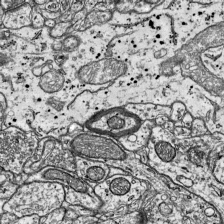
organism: Mouse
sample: Visual Cortex